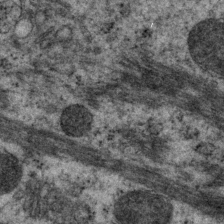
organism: P. pacificus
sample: Pharynx